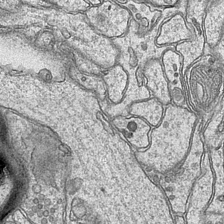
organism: Mouse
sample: CA1 Hippocampus